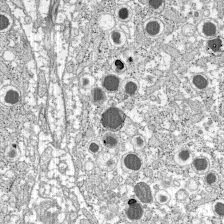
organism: C57BL Mouse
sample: Pancreatic islet